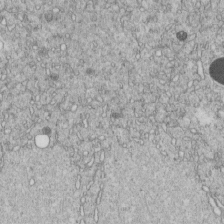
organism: C. elegans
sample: C. elegans embryo early stage